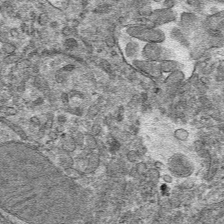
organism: Mouse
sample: Mouse hepatocytes